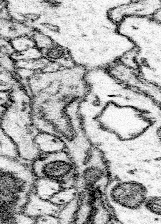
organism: Mouse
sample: Somatosensory cortex neuropil